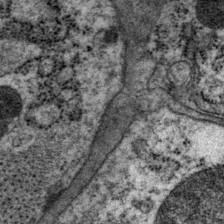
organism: P. pacificus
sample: Pharynx